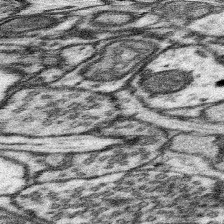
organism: Mouse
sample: Somatosensory cortex neuropil